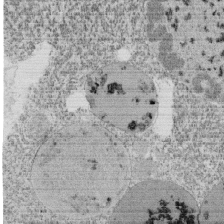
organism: Tetrahymena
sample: Cilia in tetrahymena